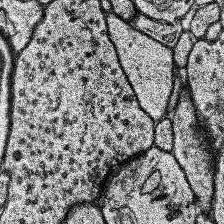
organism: Human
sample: Temporal Lobe